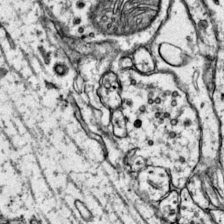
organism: Mouse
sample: Primary visual cortex